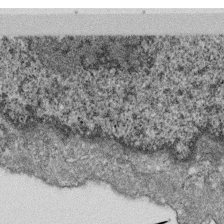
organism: African green monkey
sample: Vero E6 cells infected with SARS-CoV-2